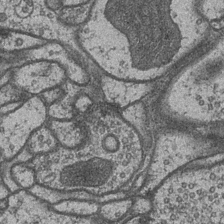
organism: Drosophila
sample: Optic medulla